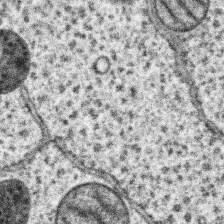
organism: Human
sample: HeLa cells